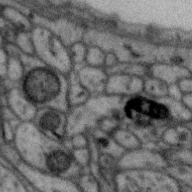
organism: Zebra finch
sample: Brain